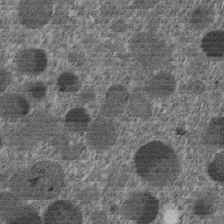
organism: C. elegans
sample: C. elegans embryo early stage